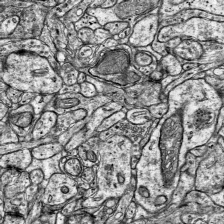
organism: Mouse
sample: Visual Cortex